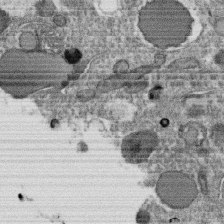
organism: C. elegans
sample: C. elegans oocyte; sperm cells